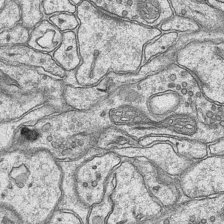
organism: Mouse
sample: CA1 Hippocampus